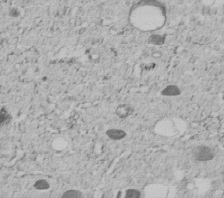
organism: C. elegans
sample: C. elegans embryo early stage